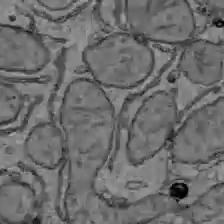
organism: C57BL Mouse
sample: Liver